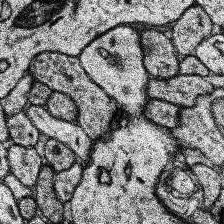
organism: Human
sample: Temporal Lobe